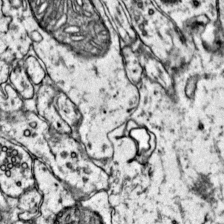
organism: Mouse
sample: Primary visual cortex